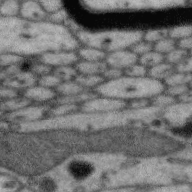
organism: Zebra finch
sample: Brain